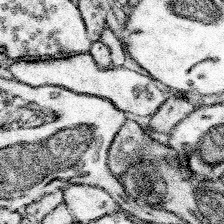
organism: Mouse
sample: Somatosensory cortex neuropil